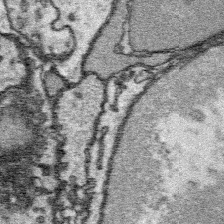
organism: Platynereis dumerilii